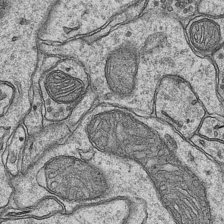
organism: Mouse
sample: CA1 Hippocampus